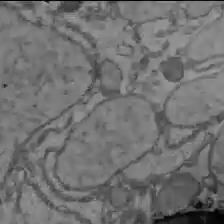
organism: C57BL Mouse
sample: Liver